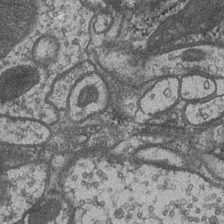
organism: Drosophila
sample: Optic medulla